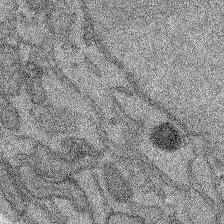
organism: Human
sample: HeLa cells